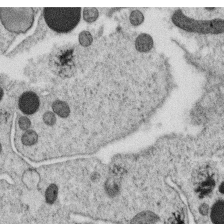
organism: C. elegans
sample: C. elegans oocyte; sperm cells